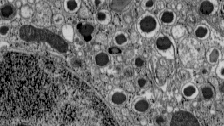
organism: C57BL Mouse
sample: Pancreatic islet